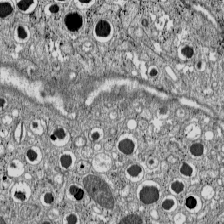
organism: C57BL Mouse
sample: Pancreatic islet